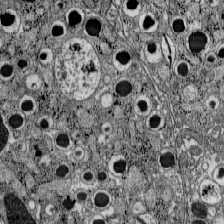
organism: C57BL Mouse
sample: Pancreatic islet